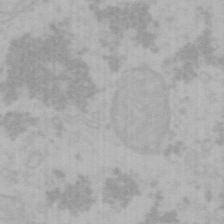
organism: Mouse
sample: Choroid plexus